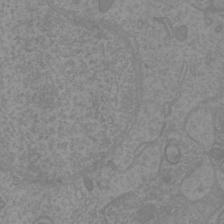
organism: Mouse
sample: Cortical neurons